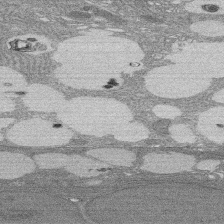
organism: Rat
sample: Salivary granule